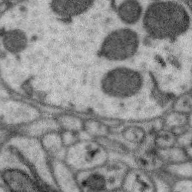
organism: Zebra finch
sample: Brain